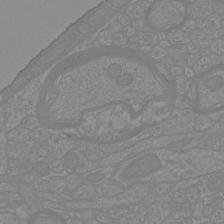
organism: Mouse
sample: Cortical neurons